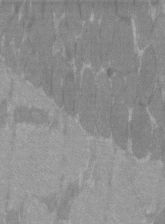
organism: C57BL Mouse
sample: Tibialis anterior muscle cell